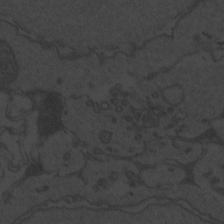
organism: Zebrafish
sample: Macrophage infected with Toxoplasma gondii